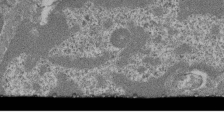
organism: Mouse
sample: Glomerulus